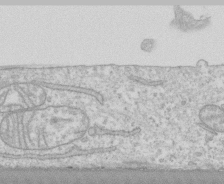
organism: Human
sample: CRL-1474